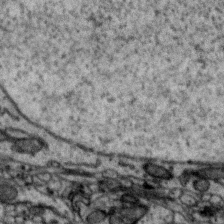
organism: Zebra finch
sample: Brain